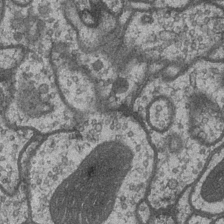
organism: Drosophila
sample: Optic medulla